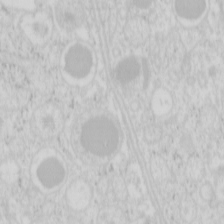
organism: Mouse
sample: Pancreas